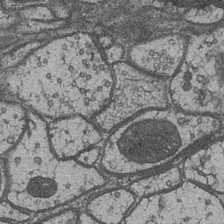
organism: Drosophila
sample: Optic medulla